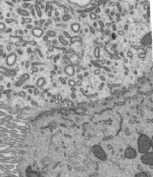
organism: Mouse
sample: Mouse epididymis efferent ductule cilia